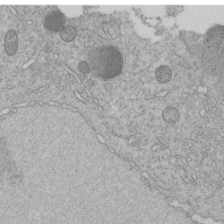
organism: C. elegans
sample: C. elegans embryo early stage